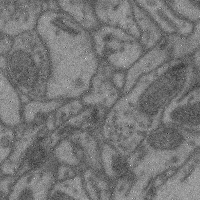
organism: Mouse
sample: Cerebral cortex